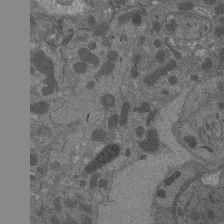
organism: Drosophila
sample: Antenna